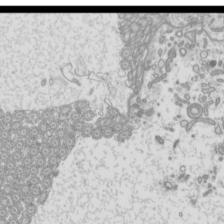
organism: Mouse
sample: Cilia; mouse epididymis